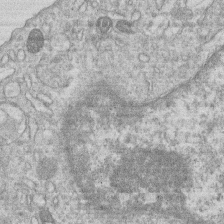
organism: Human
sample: Macrophage cells